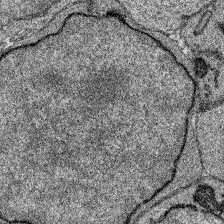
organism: Zebrafish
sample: Larval olfactory bulb